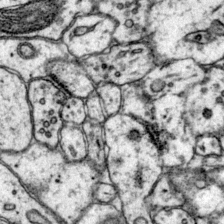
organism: Mouse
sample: Primary visual cortex